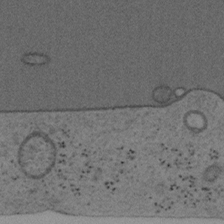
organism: Human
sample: HeLa cells